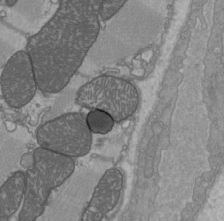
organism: C57BL Mouse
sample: Heart